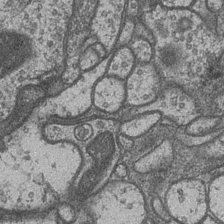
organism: Drosophila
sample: Optic medulla